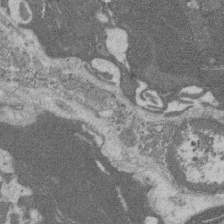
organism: Rat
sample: Salivary granule